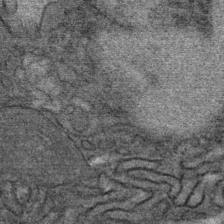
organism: Mouse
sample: Mouse Salivary gland